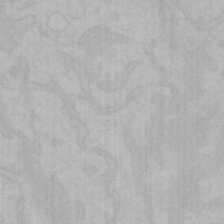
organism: Mouse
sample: Choroid plexus